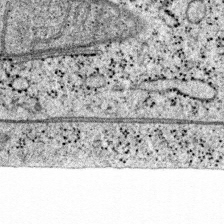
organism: Human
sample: HeLa cells